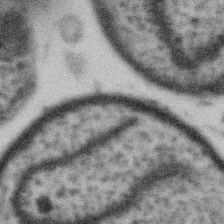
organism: Gemmata obscuriglobus